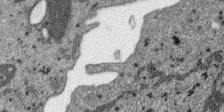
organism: Human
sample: Lung epithelial cells infected with SARS-CoV-2